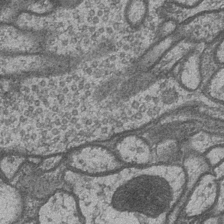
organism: Drosophila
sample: Optic medulla